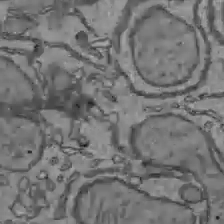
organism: C57BL Mouse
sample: Liver